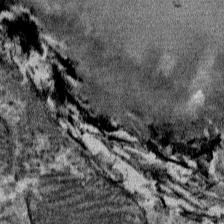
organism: Mouse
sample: Mouse Salivary gland